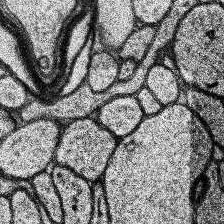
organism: Human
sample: Temporal Lobe